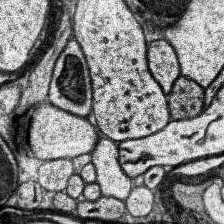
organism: Human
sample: Temporal Lobe